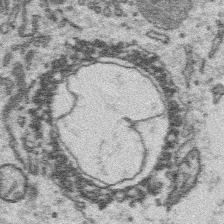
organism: Platynereis dumerilii